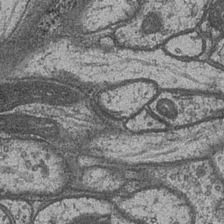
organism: Drosophila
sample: Optic medulla